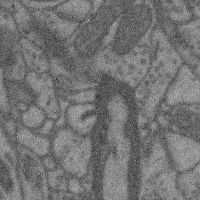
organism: Mouse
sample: Cerebral cortex